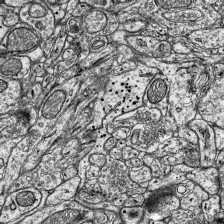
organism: Mouse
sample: Visual Cortex